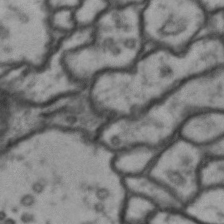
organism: Drosophila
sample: Brain